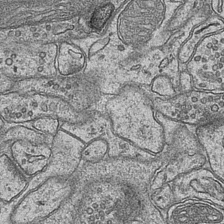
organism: Mouse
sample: CA1 Hippocampus